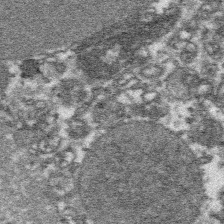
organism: Platynereis dumerilii